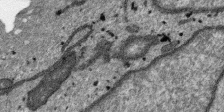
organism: Human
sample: Lung epithelial cells, uninfected (mock) control